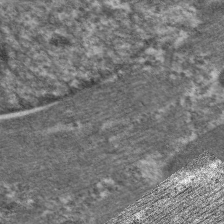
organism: C. elegans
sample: Pharynx